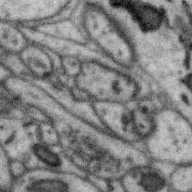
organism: Zebra finch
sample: Brain